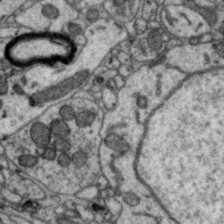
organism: Zebra finch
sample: Brain